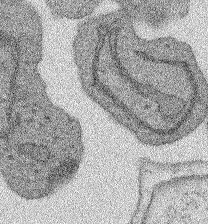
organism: Human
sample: HeLa cells